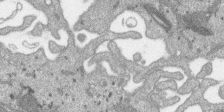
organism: Human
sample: Lung epithelial cells infected with SARS-CoV-2